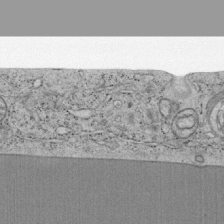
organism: Human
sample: HeLa cells